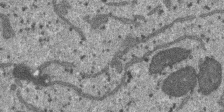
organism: Human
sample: Lung epithelial cells infected with SARS-CoV-2